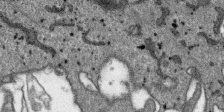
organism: Human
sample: Lung epithelial cells, uninfected (mock) control